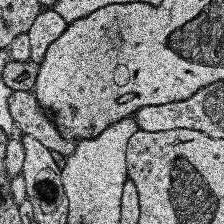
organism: Human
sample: Temporal Lobe